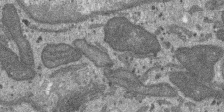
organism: Human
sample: Lung epithelial cells infected with SARS-CoV-2